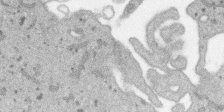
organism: Human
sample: Lung epithelial cells infected with SARS-CoV-2